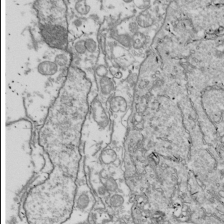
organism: Drosophila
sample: Cell division; meiosis; drosophila spermatocytes